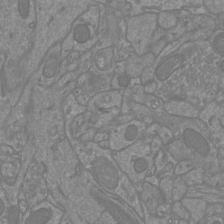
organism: Mouse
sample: Cortical neurons